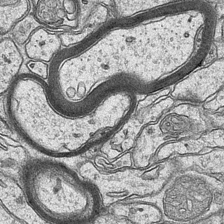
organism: Mouse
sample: CA1 Hippocampus